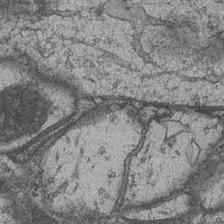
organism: Drosophila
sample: Optic medulla